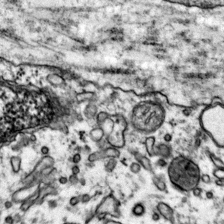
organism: Mouse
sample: Primary visual cortex